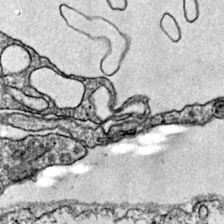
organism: Mouse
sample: Primary visual cortex